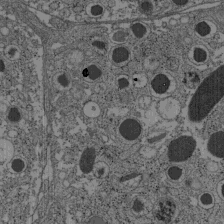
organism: C57BL Mouse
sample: Pancreatic islet